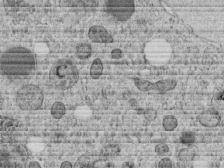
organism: C. elegans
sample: C. elegans embryo early stage